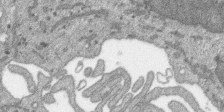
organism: Human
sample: Lung epithelial cells infected with SARS-CoV-2